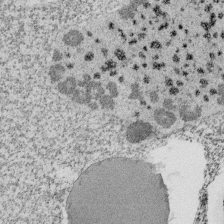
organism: Tetrahymena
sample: Cilia in tetrahymena